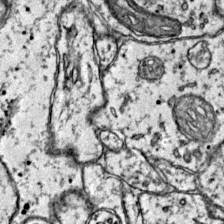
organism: Mouse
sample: Primary visual cortex